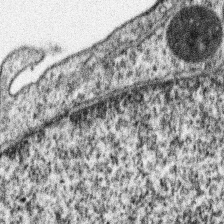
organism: Human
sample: HeLa cells